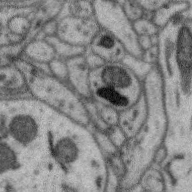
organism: Zebra finch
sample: Brain